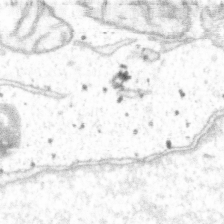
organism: Human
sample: HeLa cells